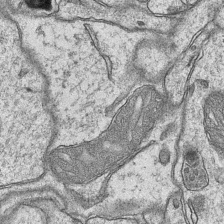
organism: Mouse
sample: CA1 Hippocampus